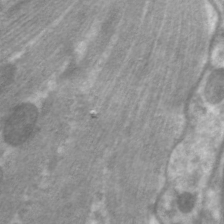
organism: C. elegans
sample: Pharynx